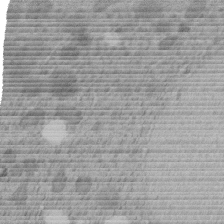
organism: C. elegans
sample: C. elegans embryo early stage